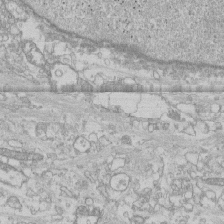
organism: Human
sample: CRL-1474